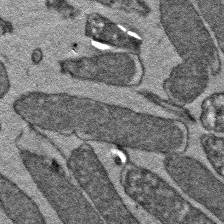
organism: E. coli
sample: E. Coli Bacteria